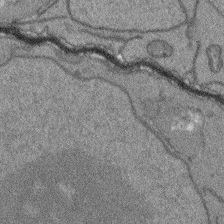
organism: Arabidopsis thaliana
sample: Root tip